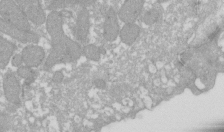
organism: Xenopus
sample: Cilia; centrioles in frog embryo cells